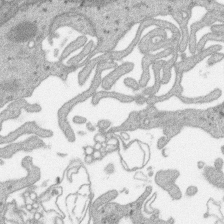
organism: Human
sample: Lung epithelial cells infected with SARS-CoV-2